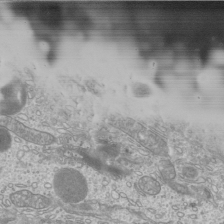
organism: Mouse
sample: Cilia; mouse epididymis